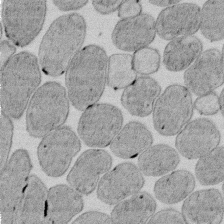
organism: E. coli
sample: Bacterial nucleoid